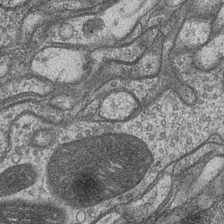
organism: Drosophila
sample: Optic medulla